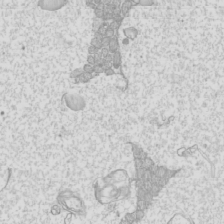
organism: Mouse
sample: Cilia; mouse epididymis